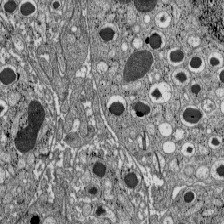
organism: C57BL Mouse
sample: Pancreatic islet